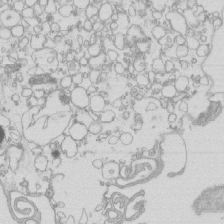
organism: Mouse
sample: Macrophages